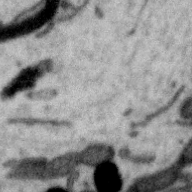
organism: Zebra finch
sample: Brain